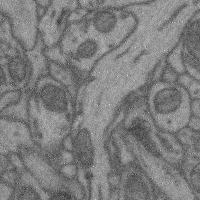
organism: Mouse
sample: Cerebral cortex